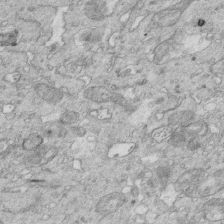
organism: Mouse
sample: Multiciliated cells